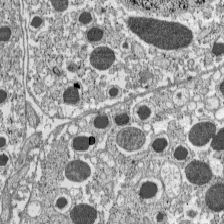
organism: C57BL Mouse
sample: Pancreatic islet